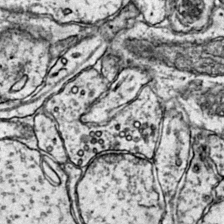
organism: Mouse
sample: Primary visual cortex